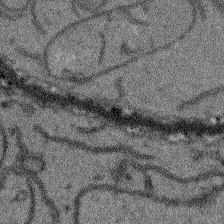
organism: Arabidopsis thaliana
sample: Root tip